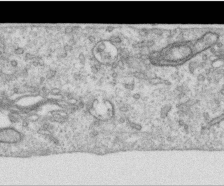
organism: Human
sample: Centriole in RPE cells